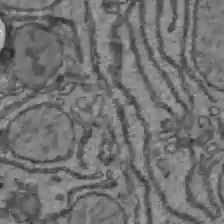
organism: C57BL Mouse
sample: Liver